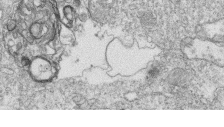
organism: Human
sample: HeLa cell HIV synapse